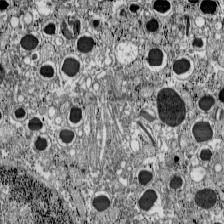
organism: C57BL Mouse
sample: Pancreatic islet